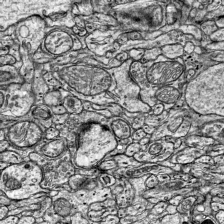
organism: Mouse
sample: Visual Cortex